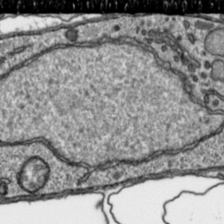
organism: Toxoplasma gondii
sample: Parasites in a vacuole inside a host cell